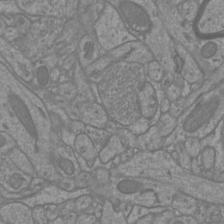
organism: Mouse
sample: Cortical neurons